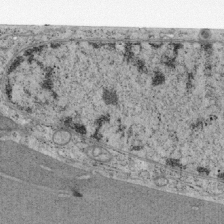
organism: Human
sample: HeLa cells